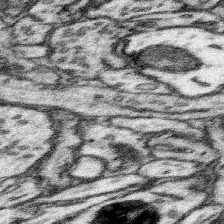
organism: Mouse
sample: Somatosensory cortex neuropil